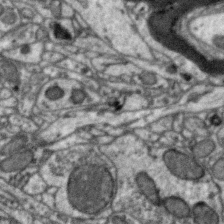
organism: Zebra finch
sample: Brain